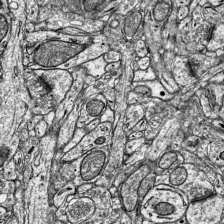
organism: Mouse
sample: Visual Cortex